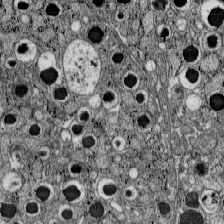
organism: C57BL Mouse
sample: Pancreatic islet